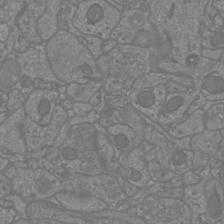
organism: Mouse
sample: Cortical neurons